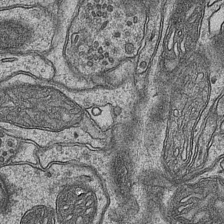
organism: Mouse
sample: CA1 Hippocampus